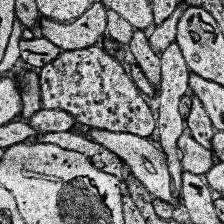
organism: Human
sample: Temporal Lobe